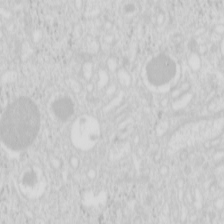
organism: Mouse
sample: Pancreas